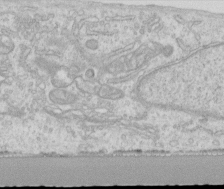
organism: Human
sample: Centriole in RPE cells